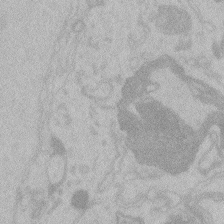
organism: Zebrafish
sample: Macrophage infected with Toxoplasma gondii